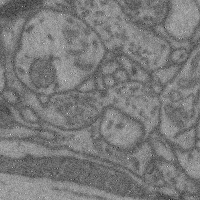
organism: Mouse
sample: Cerebral cortex